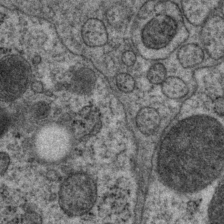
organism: P. pacificus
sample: Pharynx